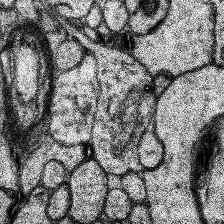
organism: Human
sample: Temporal Lobe